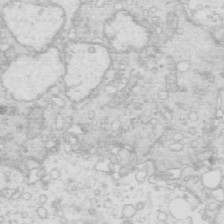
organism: Mouse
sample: Multiciliated cells